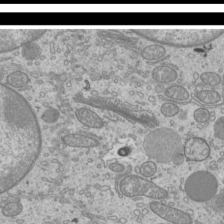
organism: Mouse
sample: Cilia; mouse epididymis